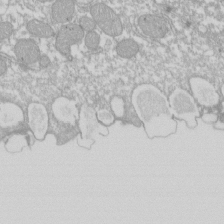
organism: Xenopus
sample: Cilia; centrioles in frog embryo cells